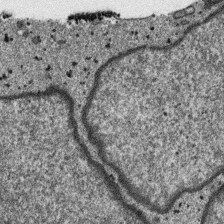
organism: Human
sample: Lung epithelial cells infected with SARS-CoV-2